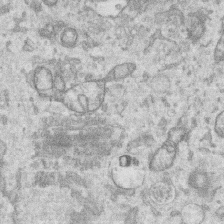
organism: Human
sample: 1205lu cells